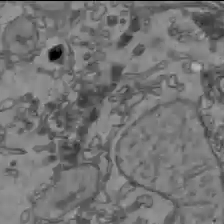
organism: C57BL Mouse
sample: Liver